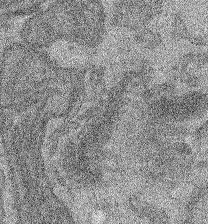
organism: Human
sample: HeLa cells